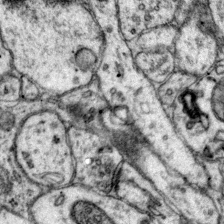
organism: Mouse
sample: Primary visual cortex